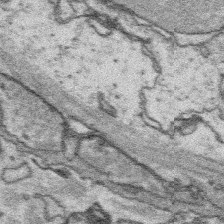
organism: Platynereis dumerilii